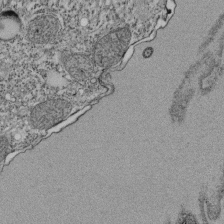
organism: Tetrahymena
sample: Cilia in tetrahymena